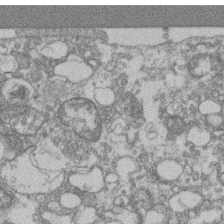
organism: Mouse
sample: T cell stromal cell synapse